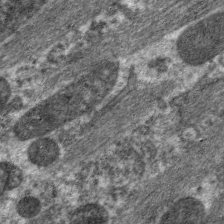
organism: C. elegans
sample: Pharynx